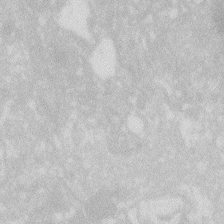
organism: Zebrafish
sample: Macrophage